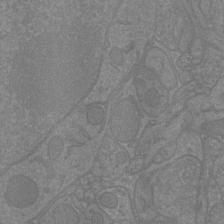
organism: Mouse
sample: Cortical neurons